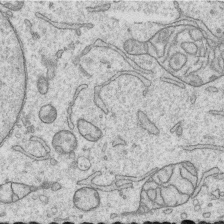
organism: Human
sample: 1205lu cells